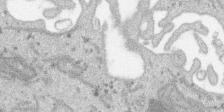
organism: Human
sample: Lung epithelial cells infected with SARS-CoV-2